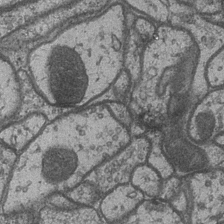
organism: Drosophila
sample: Optic medulla